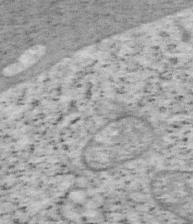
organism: Mouse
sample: OT-I killer T cells with ID8 ovarian cancer cells